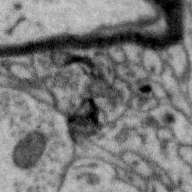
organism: Zebra finch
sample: Brain